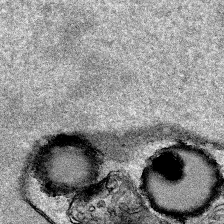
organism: Human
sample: Mitochondria in HCT116 cells